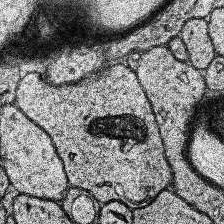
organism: Human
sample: Temporal Lobe